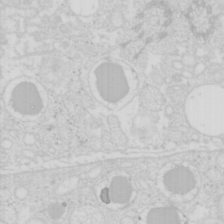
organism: Mouse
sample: Pancreas